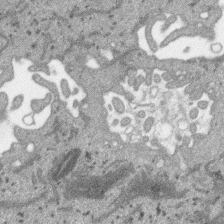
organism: Human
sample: Lung epithelial cells infected with SARS-CoV-2